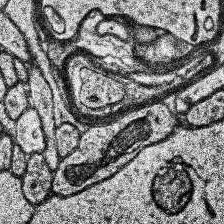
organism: Human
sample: Temporal Lobe